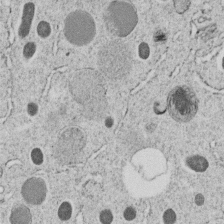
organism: C. elegans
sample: C. elegans embryo early stage